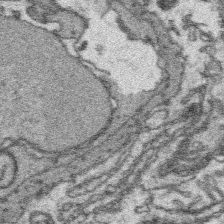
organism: Platynereis dumerilii